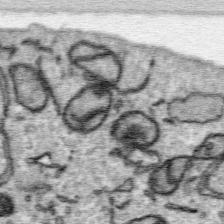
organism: Human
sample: HeLa cells